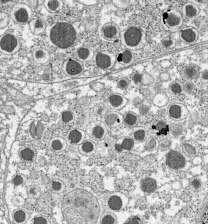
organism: C57BL Mouse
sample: Pancreatic islet